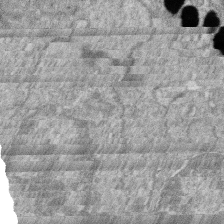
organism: Zebrafish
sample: Cilia; retinal pigment epithelium